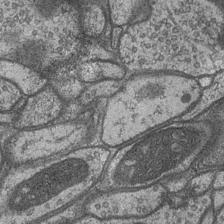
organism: Drosophila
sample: Optic medulla